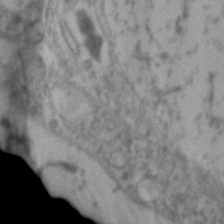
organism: Zebrafish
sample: Zebrafish embryo